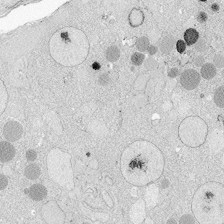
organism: Zebrafish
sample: Whole-Brain